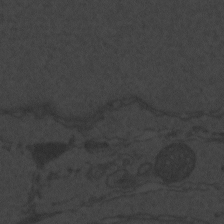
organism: Zebrafish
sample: Macrophage infected with Toxoplasma gondii